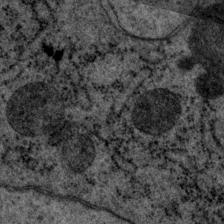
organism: P. pacificus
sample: Pharynx